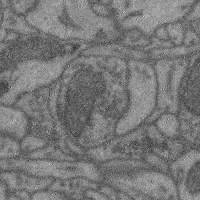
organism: Mouse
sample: Cerebral cortex